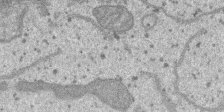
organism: Human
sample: Lung epithelial cells infected with SARS-CoV-2